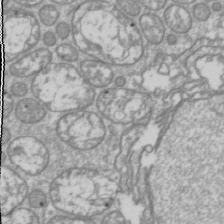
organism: Drosophila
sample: Cell division; meiosis; drosophila spermatocytes